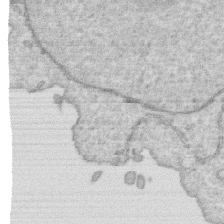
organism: Human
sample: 1205lu cells